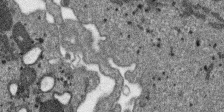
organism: Human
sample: Lung epithelial cells infected with SARS-CoV-2